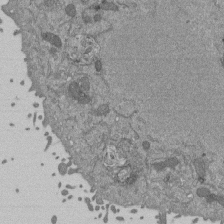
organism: Mouse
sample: ED-1 cell nuclei; centrioles